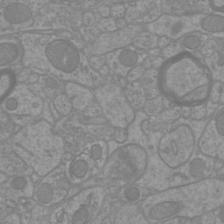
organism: Mouse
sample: Cortical neurons